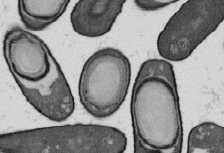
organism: B. subtilis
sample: Bacterial spore